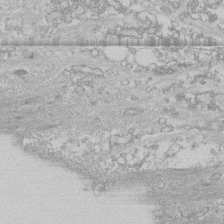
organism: Human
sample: CRL-1474